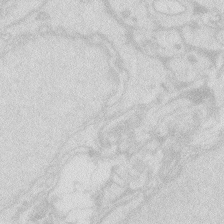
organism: Zebrafish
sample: Macrophage